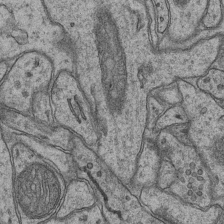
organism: Mouse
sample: CA1 Hippocampus